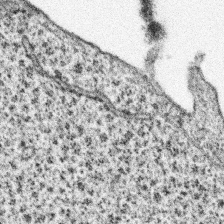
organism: Human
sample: HeLa cells